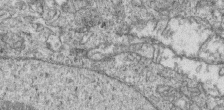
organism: Human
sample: HeLa cell HIV synapse